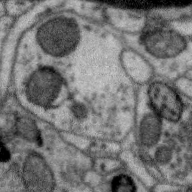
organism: Zebra finch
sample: Brain